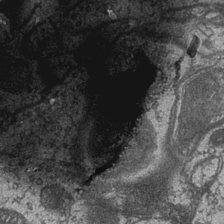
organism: Drosophila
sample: Optic medulla